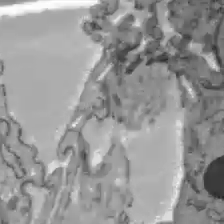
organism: C57BL Mouse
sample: Liver